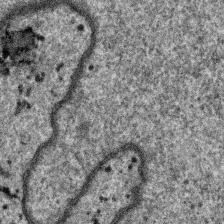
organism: Human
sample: Lung epithelial cells infected with SARS-CoV-2